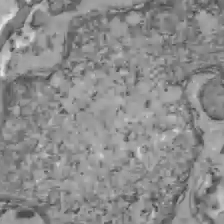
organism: C57BL Mouse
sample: Liver